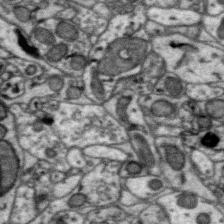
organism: Zebra finch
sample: Brain